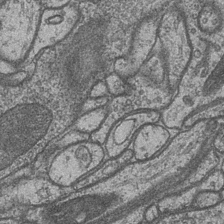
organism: Drosophila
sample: Optic medulla